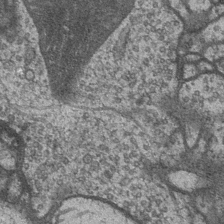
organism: Drosophila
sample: Optic medulla